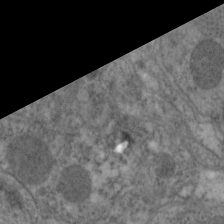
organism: C. elegans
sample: Pharynx